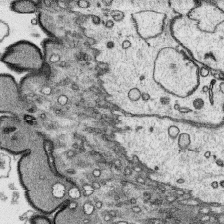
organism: Platynereis dumerilii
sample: Parapodia